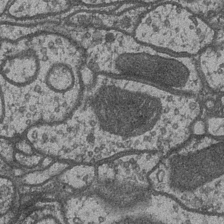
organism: Drosophila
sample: Optic medulla